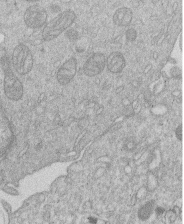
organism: Human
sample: Macrophage cells